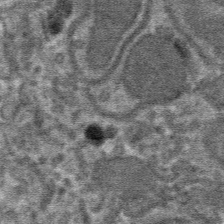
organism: Mouse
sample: Mouse hepatocytes